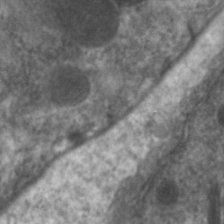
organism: C. elegans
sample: Pharynx